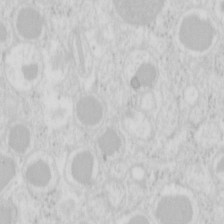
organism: Mouse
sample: Pancreas